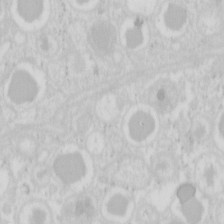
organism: Mouse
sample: Pancreas